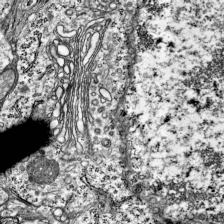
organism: Mouse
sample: Visual Cortex